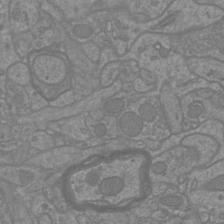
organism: Mouse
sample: Cortical neurons